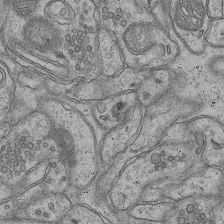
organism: Mouse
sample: CA1 Hippocampus